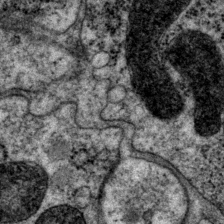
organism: P. pacificus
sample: Pharynx